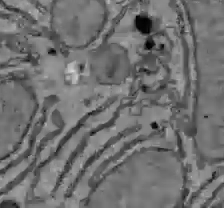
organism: C57BL Mouse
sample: Liver